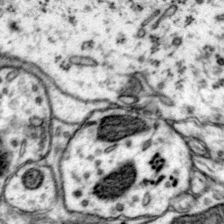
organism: Mouse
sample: Primary visual cortex